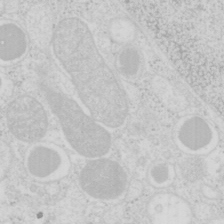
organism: Mouse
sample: Pancreas